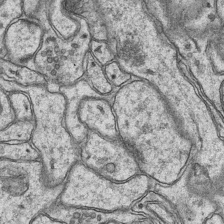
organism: Mouse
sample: CA1 Hippocampus